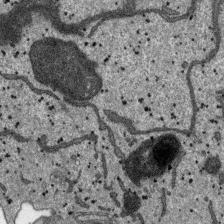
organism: Human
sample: Lung epithelial cells, uninfected (mock) control